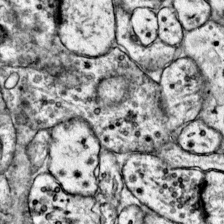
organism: Mouse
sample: Primary visual cortex